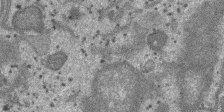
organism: Human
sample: Lung epithelial cells infected with SARS-CoV-2